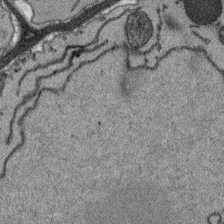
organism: Arabidopsis thaliana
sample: Root tip